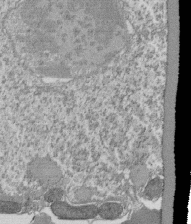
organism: Tetrahymena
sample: Cilia in tetrahymena